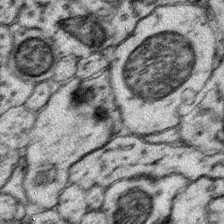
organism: Mouse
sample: Primary visual cortex